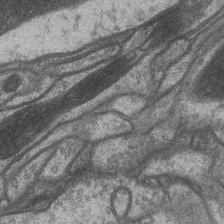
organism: Drosophila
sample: Optic medulla